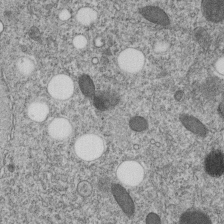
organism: C. elegans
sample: C. elegans embryo early stage